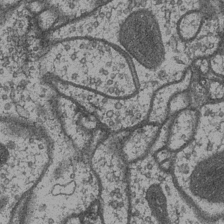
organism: Drosophila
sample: Optic medulla